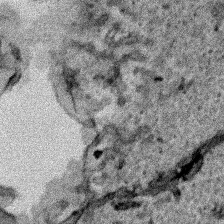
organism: Human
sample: Mitochondria in HCT116 cells